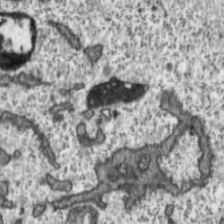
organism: Toxoplasma gondii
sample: Parasites in a vacuole inside a host cell